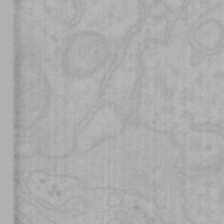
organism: Mouse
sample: Choroid plexus